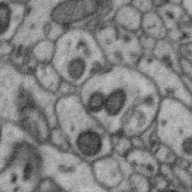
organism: Zebra finch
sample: Brain